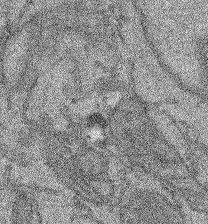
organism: Human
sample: HeLa cells